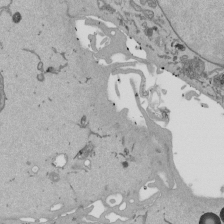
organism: Mouse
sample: ED-1 cell nuclei; centrioles